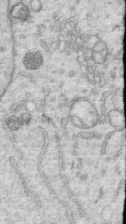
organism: Human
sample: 1205lu cells